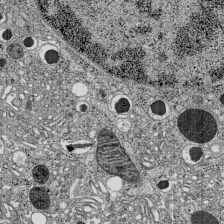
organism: C57BL Mouse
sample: Pancreatic islet